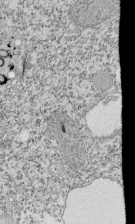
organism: Tetrahymena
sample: Cilia in tetrahymena